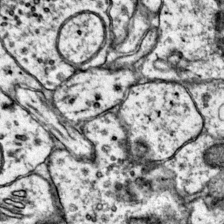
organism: Mouse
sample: Primary visual cortex